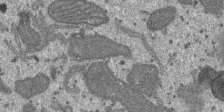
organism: Human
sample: Lung epithelial cells infected with SARS-CoV-2